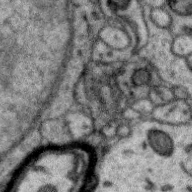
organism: Zebra finch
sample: Brain